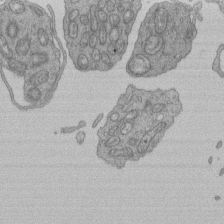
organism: Human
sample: Retinal organoid Rod and Cone cells